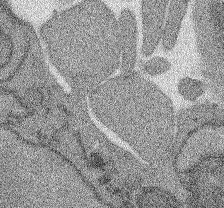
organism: Human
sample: HeLa cells